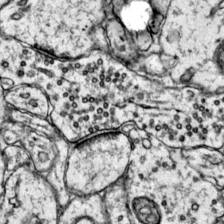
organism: Mouse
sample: Primary visual cortex